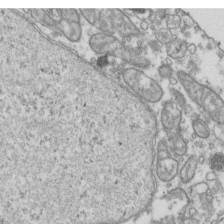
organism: Human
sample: Activated Jurkat CD4+ T cells